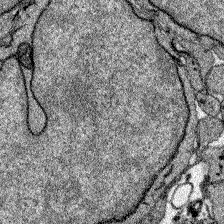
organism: Zebrafish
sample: Larval olfactory bulb